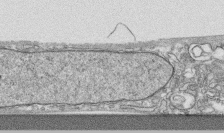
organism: Human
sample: CRL-1474